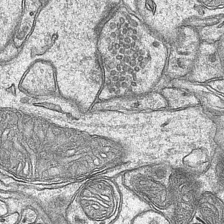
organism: Mouse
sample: CA1 Hippocampus